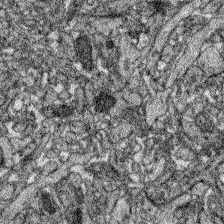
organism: Zebrafish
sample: Larval olfactory bulb